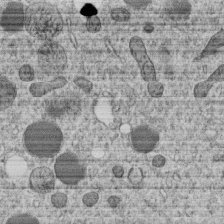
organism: C. elegans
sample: C. elegans embryo early stage